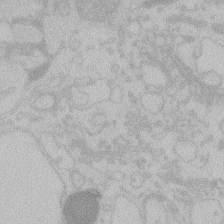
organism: Zebrafish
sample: Macrophage infected with Toxoplasma gondii